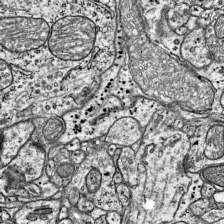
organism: Mouse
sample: Visual Cortex